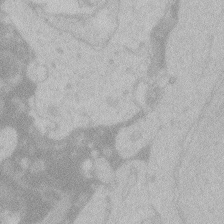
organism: Zebrafish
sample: Macrophage infected with Toxoplasma gondii